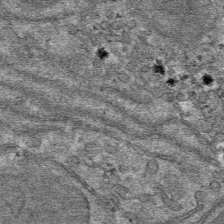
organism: Mouse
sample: Mouse hepatocytes